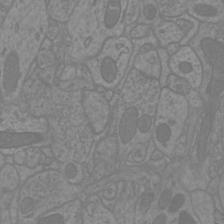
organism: Mouse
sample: Cortical neurons